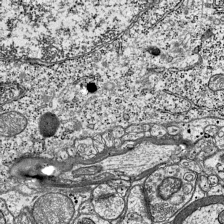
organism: Mouse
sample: Visual Cortex